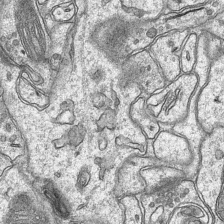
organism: Mouse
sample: CA1 Hippocampus